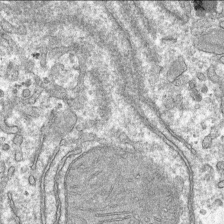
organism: Mouse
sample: Mouse hepatocytes